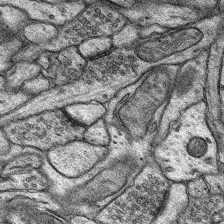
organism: Rat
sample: Hippocampus